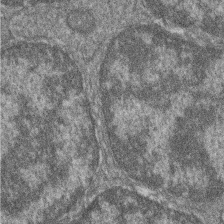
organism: Zebrafish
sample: Cilia; retinal pigment epithelium